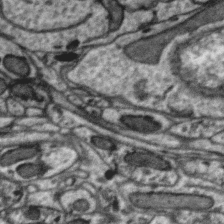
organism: Zebra finch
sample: Brain